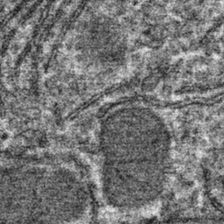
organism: Mouse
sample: Mouse hepatocytes